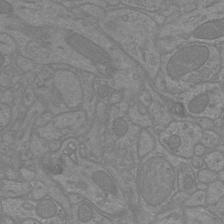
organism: Mouse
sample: Cortical neurons